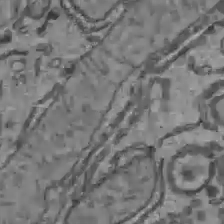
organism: C57BL Mouse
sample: Liver